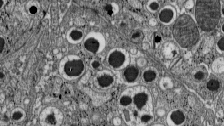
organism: C57BL Mouse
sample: Pancreatic islet